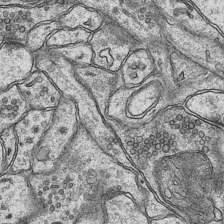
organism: Mouse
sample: CA1 Hippocampus